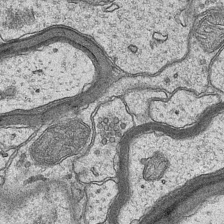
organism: Mouse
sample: CA1 Hippocampus